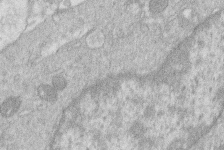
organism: Human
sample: Macrophage cells